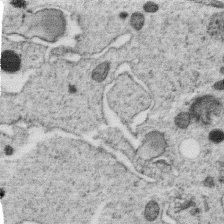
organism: C. elegans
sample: C. elegans oocyte; sperm cells